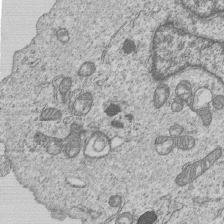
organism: Human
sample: MDA-MB-231 cells